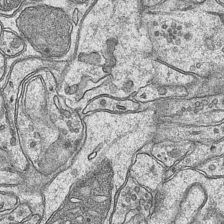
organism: Mouse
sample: CA1 Hippocampus